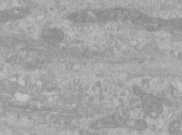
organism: Human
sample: Centriole in RPE cells